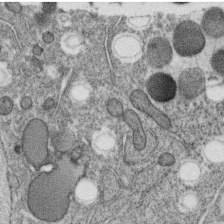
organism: C. elegans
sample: C. elegans oocyte; sperm cells